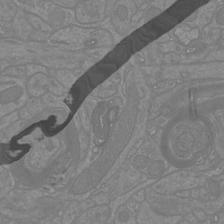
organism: Mouse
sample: Cortical neurons